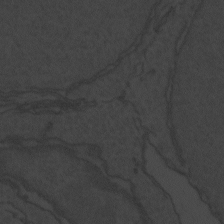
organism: Zebrafish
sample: Macrophage infected with Toxoplasma gondii